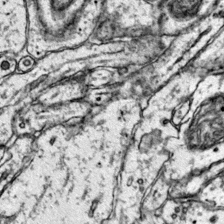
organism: Mouse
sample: Primary visual cortex